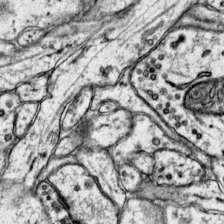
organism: Mouse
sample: Primary visual cortex